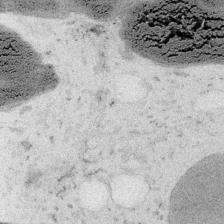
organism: Embia sp.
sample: Silk gland